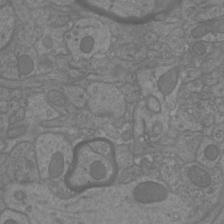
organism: Mouse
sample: Cortical neurons